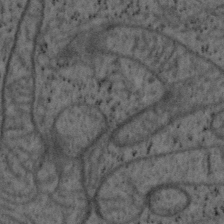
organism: Human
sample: HeLa cells